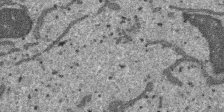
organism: Human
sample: Lung epithelial cells infected with SARS-CoV-2